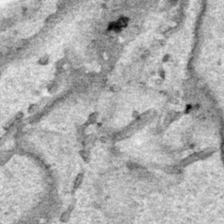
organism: Human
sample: Mitochondria in HCT116 cells